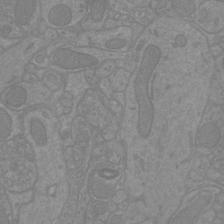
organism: Mouse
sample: Cortical neurons